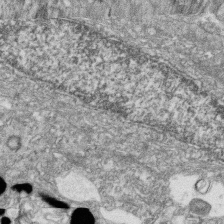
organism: Zebrafish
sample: Cilia; retinal pigment epithelium